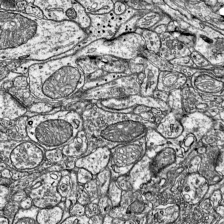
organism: Mouse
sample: Visual Cortex